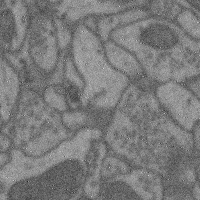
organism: Mouse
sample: Cerebral cortex